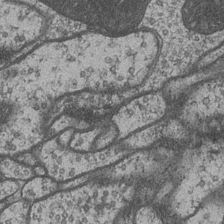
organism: Drosophila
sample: Optic medulla